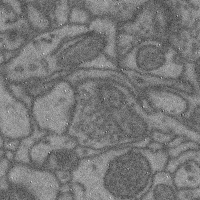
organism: Mouse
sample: Cerebral cortex